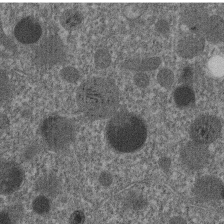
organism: C. elegans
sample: C. elegans embryo early stage